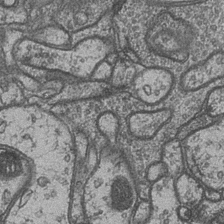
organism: Drosophila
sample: Optic medulla